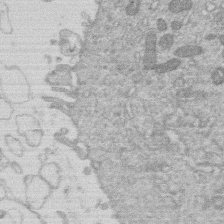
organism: Human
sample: Macrophage cells